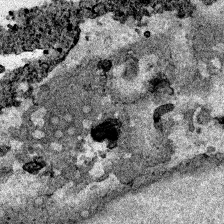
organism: Human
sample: Mitochondria in HCT116 cells